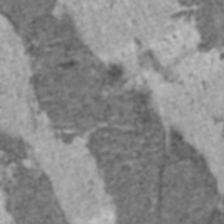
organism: C57BL Mouse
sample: Heart